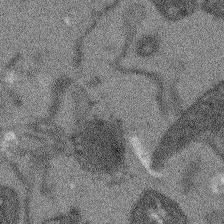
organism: Arabidopsis thaliana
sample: Root tip